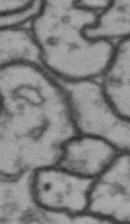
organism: Drosophila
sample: Brain